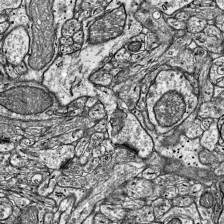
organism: Mouse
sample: Visual Cortex